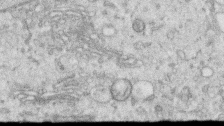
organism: Human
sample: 1205lu cells